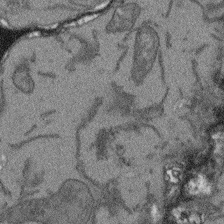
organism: Arabidopsis thaliana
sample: Root tip